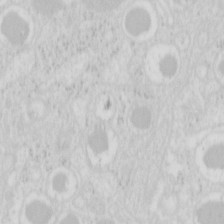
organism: Mouse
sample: Pancreas